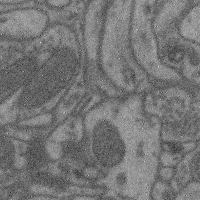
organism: Mouse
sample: Cerebral cortex